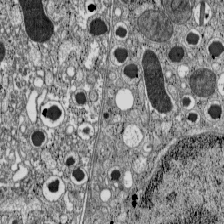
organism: C57BL Mouse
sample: Pancreatic islet